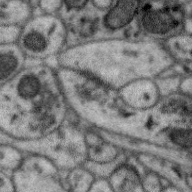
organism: Zebra finch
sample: Brain